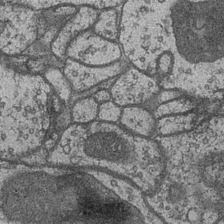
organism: Drosophila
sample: Optic medulla